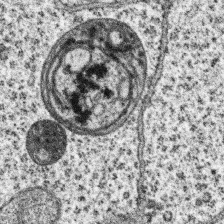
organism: Human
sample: HeLa cells